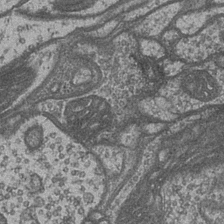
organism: Drosophila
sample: Optic medulla